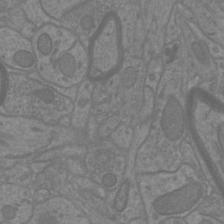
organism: Mouse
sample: Cortical neurons